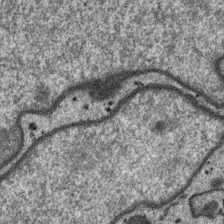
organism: Human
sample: Lung epithelial cells infected with SARS-CoV-2